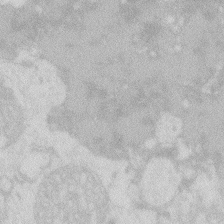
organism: Zebrafish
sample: Macrophage